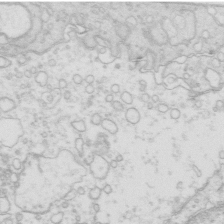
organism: Mouse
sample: Multiciliated cells